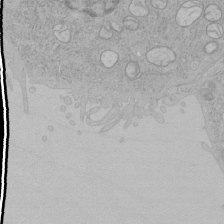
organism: Human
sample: Mitochondria in HCT116 cells